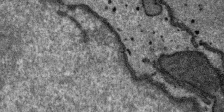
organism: Human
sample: Lung epithelial cells, uninfected (mock) control